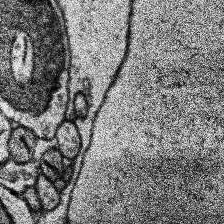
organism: Human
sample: Temporal Lobe